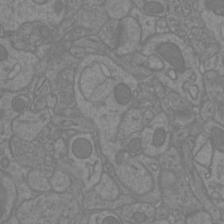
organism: Mouse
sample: Cortical neurons